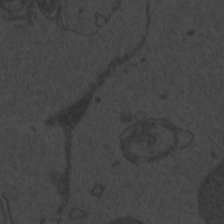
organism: Zebrafish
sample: Macrophage infected with Toxoplasma gondii